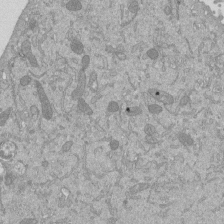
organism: Mouse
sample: ED-1 cell nuclei; centrioles